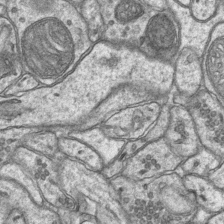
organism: Mouse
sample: CA1 Hippocampus